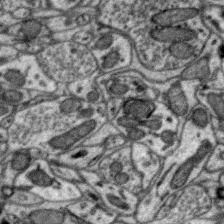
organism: Zebra finch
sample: Brain